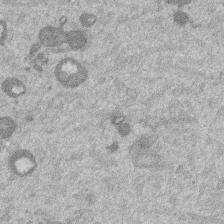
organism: Mouse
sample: Dividing mouse embryo 1 cell stage